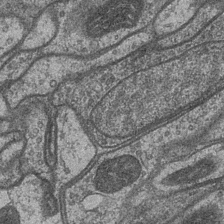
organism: Drosophila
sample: Optic medulla